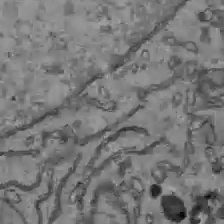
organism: C57BL Mouse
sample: Liver